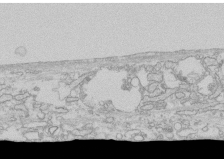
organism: Human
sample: CRL-1474